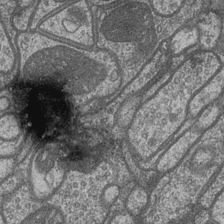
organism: Drosophila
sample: Optic medulla